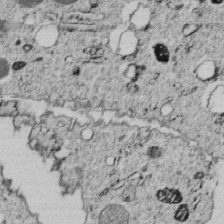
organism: C. elegans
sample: C. elegans embryo early stage